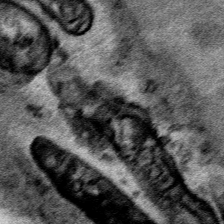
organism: Human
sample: Mitochondria in HCT116 cells